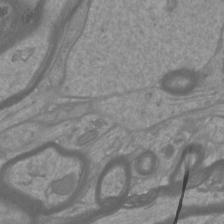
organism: Mouse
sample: Cortical neurons